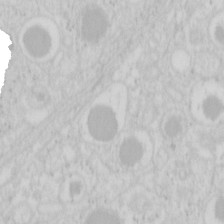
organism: Mouse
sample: Pancreas